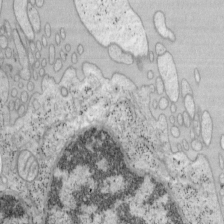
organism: Mouse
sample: OT-I killer T cells with ID8 ovarian cancer cells